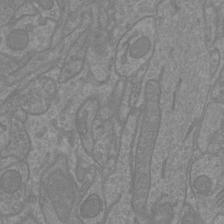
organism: Mouse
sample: Cortical neurons